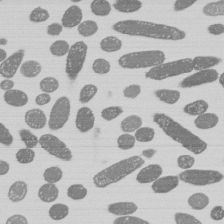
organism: E. coli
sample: Bacterial nucleoid